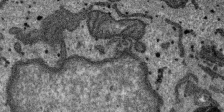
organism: Human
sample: Lung epithelial cells, uninfected (mock) control